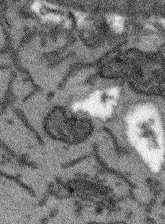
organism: Arabidopsis thaliana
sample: Root tip